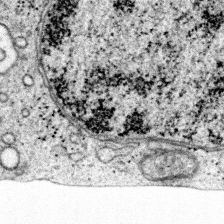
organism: Human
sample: HeLa cells